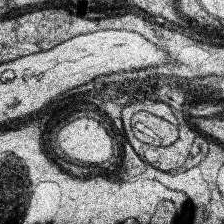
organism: Human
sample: Temporal Lobe